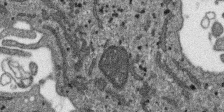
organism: Human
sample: Lung epithelial cells infected with SARS-CoV-2